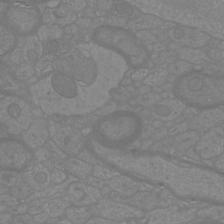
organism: Mouse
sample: Cortical neurons